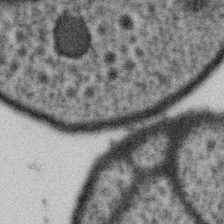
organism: Gemmata obscuriglobus